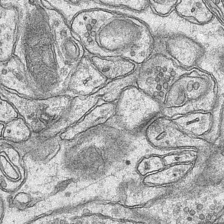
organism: Mouse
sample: CA1 Hippocampus